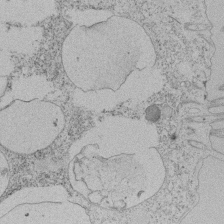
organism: Tetrahymena